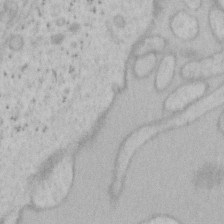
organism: Human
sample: HeLa cells